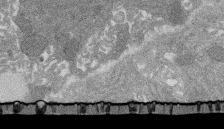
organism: Rat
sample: Salivary granule